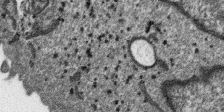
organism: Human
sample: Lung epithelial cells infected with SARS-CoV-2